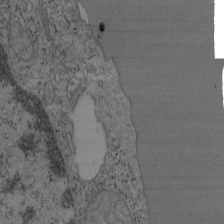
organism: Mouse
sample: OT-I killer T cells with ID8 ovarian cancer cells